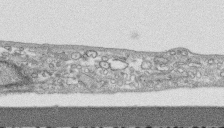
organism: Human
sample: CRL-1474